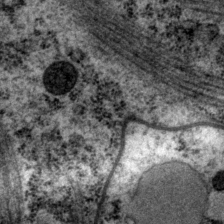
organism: P. pacificus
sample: Pharynx